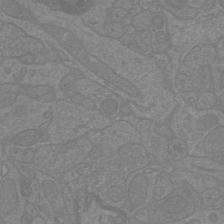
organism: Mouse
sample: Cortical neurons